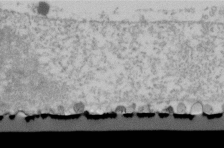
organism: Human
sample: U2-OS cells